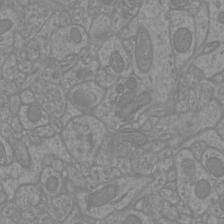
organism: Mouse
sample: Cortical neurons